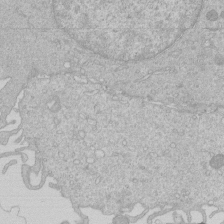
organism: Human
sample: Macrophage cells